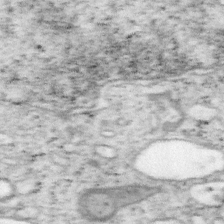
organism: Mouse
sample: OT-I killer T cells with ID8 ovarian cancer cells